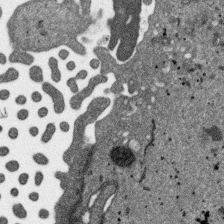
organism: Human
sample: Lung epithelial cells, uninfected (mock) control